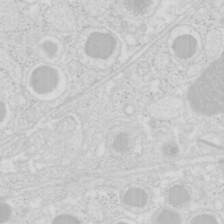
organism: Mouse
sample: Pancreas